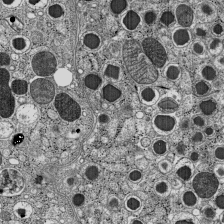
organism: C57BL Mouse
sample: Pancreatic islet